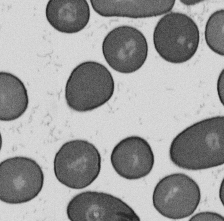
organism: B. subtilis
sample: Bacterial spore